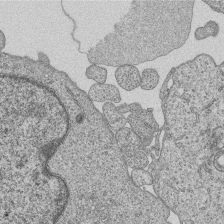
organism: Human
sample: MDA-MB-231 cells